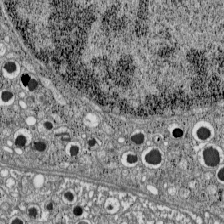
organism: C57BL Mouse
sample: Pancreatic islet